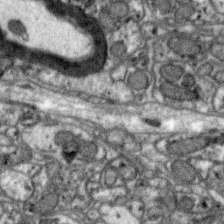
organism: Zebra finch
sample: Brain